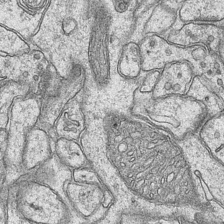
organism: Mouse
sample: CA1 Hippocampus